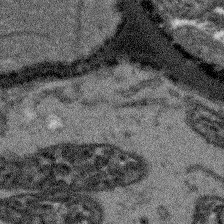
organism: Arabidopsis thaliana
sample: Root tip